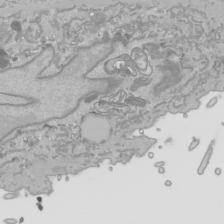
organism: Human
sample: Mitochondria in HCT116 cells